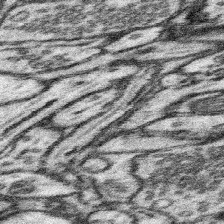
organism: Mouse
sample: Somatosensory cortex neuropil